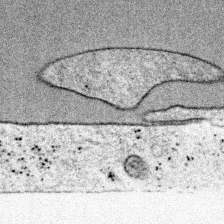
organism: Human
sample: HeLa cells